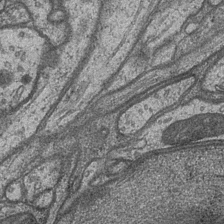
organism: Drosophila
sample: Optic medulla